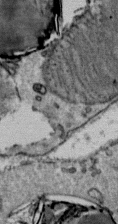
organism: Mouse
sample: Mouse Salivary gland